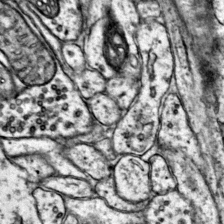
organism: Mouse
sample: Primary visual cortex